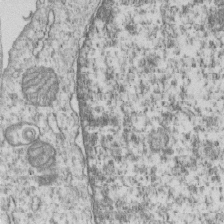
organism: Human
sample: MDA-MB-231 cells